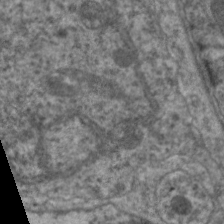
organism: C. elegans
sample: Pharynx